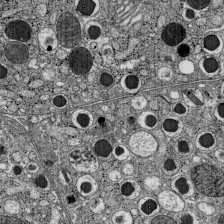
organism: C57BL Mouse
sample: Pancreatic islet